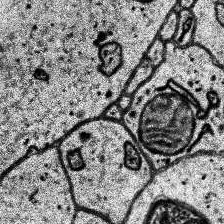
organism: Human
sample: Temporal Lobe